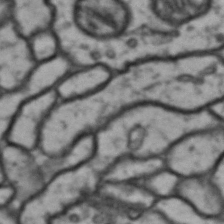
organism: Drosophila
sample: Brain